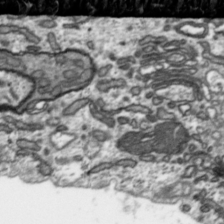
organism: Toxoplasma gondii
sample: Parasites in a vacuole inside a host cell